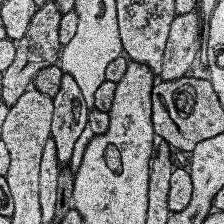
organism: Human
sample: Temporal Lobe